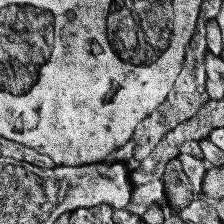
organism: Human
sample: Temporal Lobe